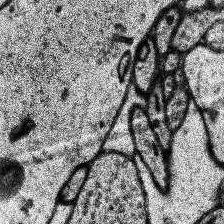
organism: Human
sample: Temporal Lobe